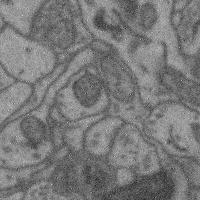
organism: Mouse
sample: Cerebral cortex